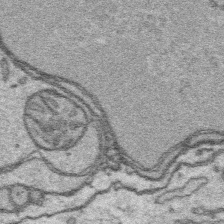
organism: Platynereis dumerilii